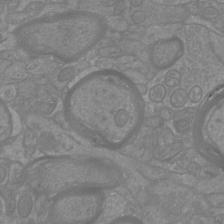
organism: Mouse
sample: Cortical neurons